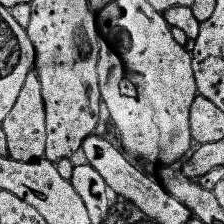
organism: Human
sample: Temporal Lobe